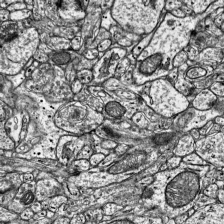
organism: Mouse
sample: Visual Cortex